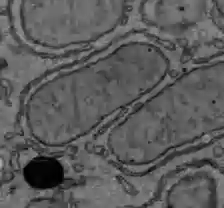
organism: C57BL Mouse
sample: Liver